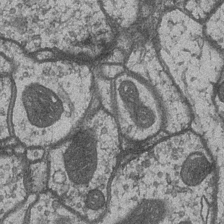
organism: Drosophila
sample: Optic medulla